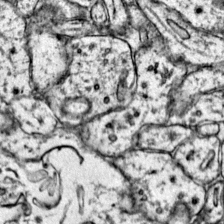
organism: Mouse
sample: Primary visual cortex